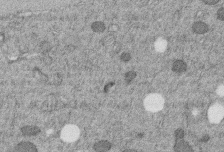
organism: C. elegans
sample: C. elegans embryo early stage